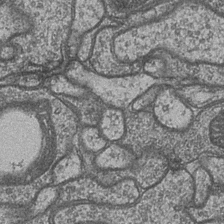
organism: Drosophila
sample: Optic medulla